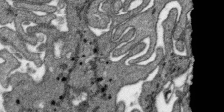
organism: Human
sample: Lung epithelial cells, uninfected (mock) control